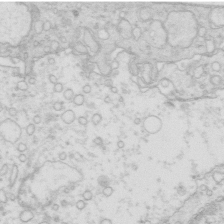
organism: Mouse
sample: Multiciliated cells